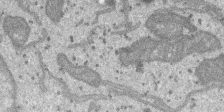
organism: Human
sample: Lung epithelial cells infected with SARS-CoV-2